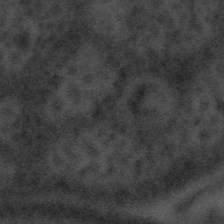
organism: Tuwongella immobilis